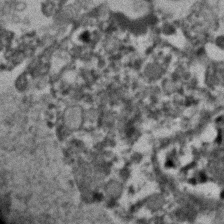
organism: Human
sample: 1205lu cells